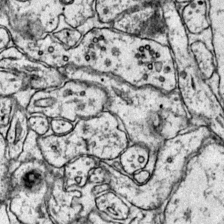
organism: Mouse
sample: Primary visual cortex